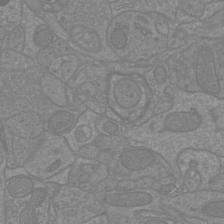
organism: Mouse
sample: Cortical neurons